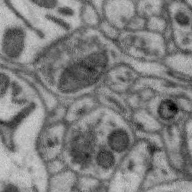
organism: Zebra finch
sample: Brain